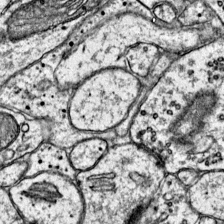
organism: Mouse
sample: Primary visual cortex